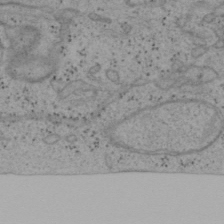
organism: Human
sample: HeLa cells